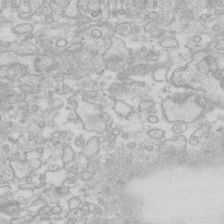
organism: Human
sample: Fibroblast cells